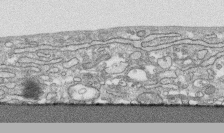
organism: Human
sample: CRL-1474